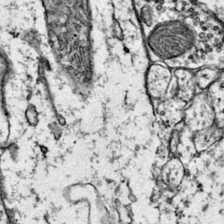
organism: Mouse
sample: Primary visual cortex